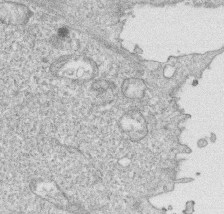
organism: Human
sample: HeLa cell HIV synapse